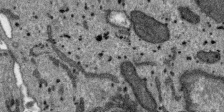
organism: Human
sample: Lung epithelial cells, uninfected (mock) control